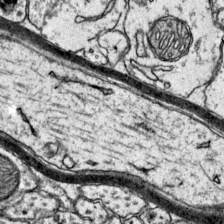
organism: Mouse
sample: Primary visual cortex